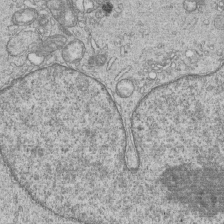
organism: Human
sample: MDA-MB-231 cells